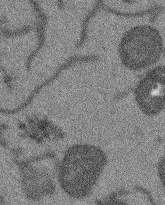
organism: Arabidopsis thaliana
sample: Root tip